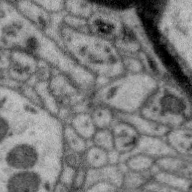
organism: Zebra finch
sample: Brain